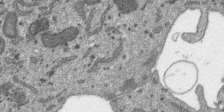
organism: Human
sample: Lung epithelial cells infected with SARS-CoV-2